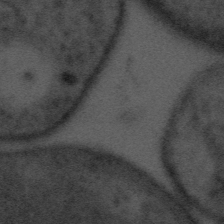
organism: Tuwongella immobilis